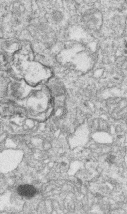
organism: Human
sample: HeLa cell HIV synapse